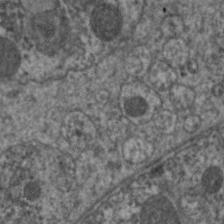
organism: C. elegans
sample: Pharynx